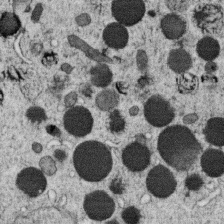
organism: C. elegans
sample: C. elegans oocyte; sperm cells